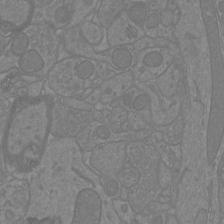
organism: Mouse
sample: Cortical neurons